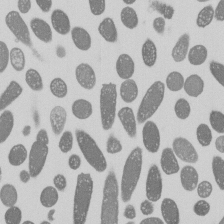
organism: E. coli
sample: Bacterial nucleoid